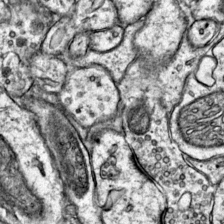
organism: Mouse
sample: Primary visual cortex